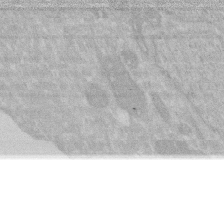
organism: Human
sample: HIV infected U937 cells